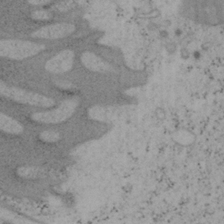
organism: Mouse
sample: OT-I killer T cells with ID8 ovarian cancer cells